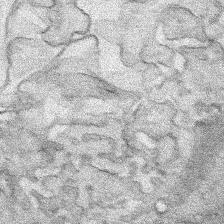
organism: Human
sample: Mitochondria in HCT116 cells